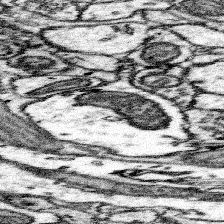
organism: Mouse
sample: Somatosensory cortex neuropil